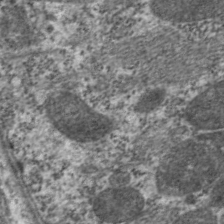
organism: C. elegans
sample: Pharynx